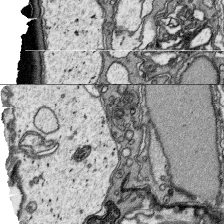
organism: Platynereis dumerilii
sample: Parapodia